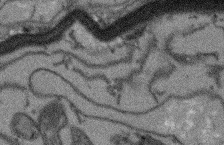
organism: Arabidopsis thaliana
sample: Root tip